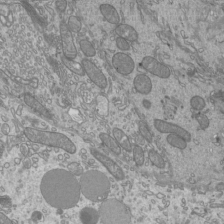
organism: Mouse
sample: Cilia; mouse epididymis